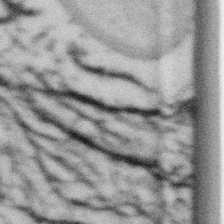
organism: Gemmata obscuriglobus